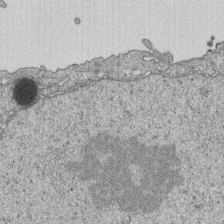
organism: Human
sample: HeLa cell HIV synapse